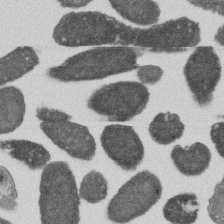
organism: E. coli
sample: Bacterial nucleoid